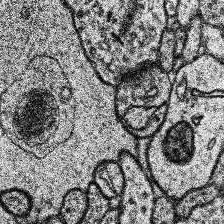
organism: Human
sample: Temporal Lobe